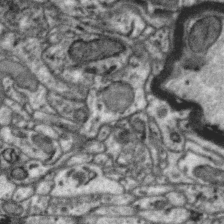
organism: Zebra finch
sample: Brain